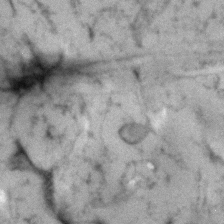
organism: Human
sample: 1205lu cells